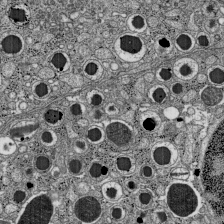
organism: C57BL Mouse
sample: Pancreatic islet